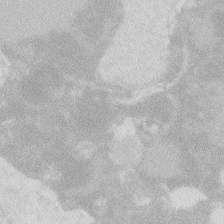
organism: Zebrafish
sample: Macrophage